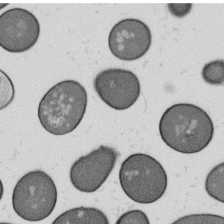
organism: B. subtilis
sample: Bacterial spore